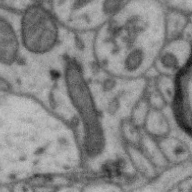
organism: Zebra finch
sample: Brain